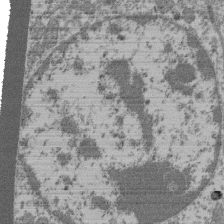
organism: Mouse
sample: Glomerulus